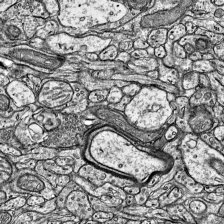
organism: Mouse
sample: Visual Cortex